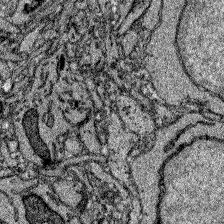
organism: Zebrafish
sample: Larval olfactory bulb